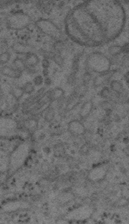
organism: Human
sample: HeLa cells